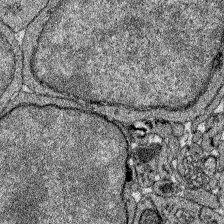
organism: Zebrafish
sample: Larval olfactory bulb